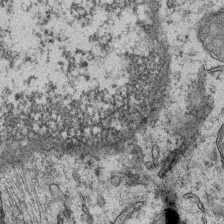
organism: Mouse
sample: CA1 Hippocampus